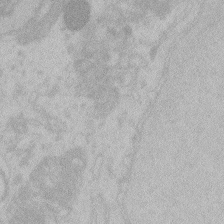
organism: Zebrafish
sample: Macrophage infected with Toxoplasma gondii